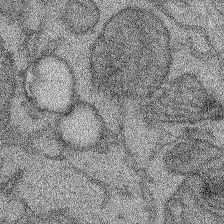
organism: Human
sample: HeLa cells